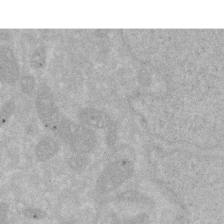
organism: Human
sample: HIV infected U937 cells